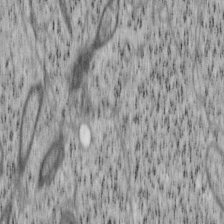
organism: Human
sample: HeLa cells